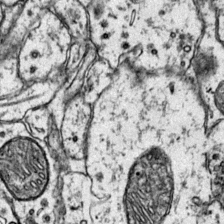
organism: Mouse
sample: Primary visual cortex